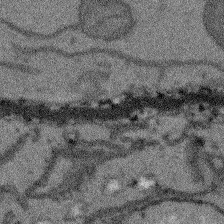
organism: Arabidopsis thaliana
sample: Root tip